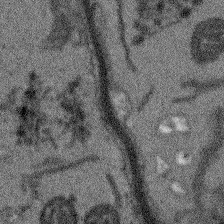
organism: Arabidopsis thaliana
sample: Root tip